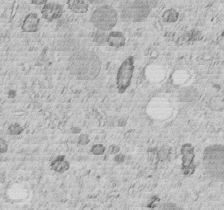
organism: C. elegans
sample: C. elegans embryo early stage